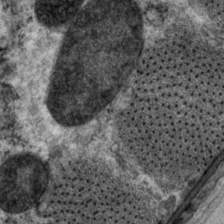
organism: P. pacificus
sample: Pharynx